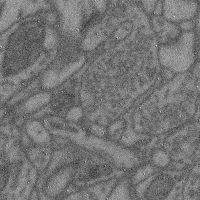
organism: Mouse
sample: Cerebral cortex